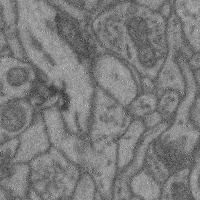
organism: Mouse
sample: Cerebral cortex